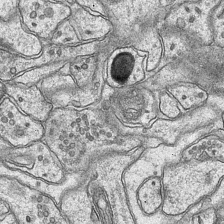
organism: Mouse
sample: CA1 Hippocampus